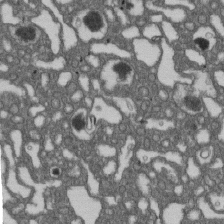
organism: Drosophila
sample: Nephrocyte